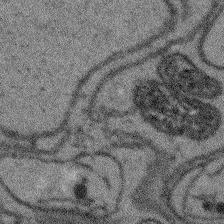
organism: Arabidopsis thaliana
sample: Root tip